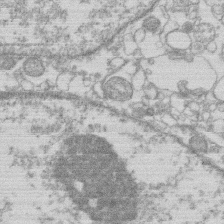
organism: Human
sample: Macrophage cells